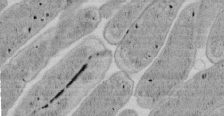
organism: E. coli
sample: Bacterial nucleoid